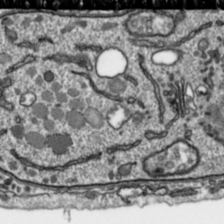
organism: Toxoplasma gondii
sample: Parasites in a vacuole inside a host cell